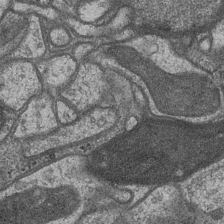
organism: Drosophila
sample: Optic medulla